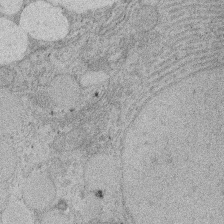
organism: Rat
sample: Salivary granule